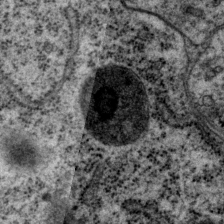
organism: P. pacificus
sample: Pharynx